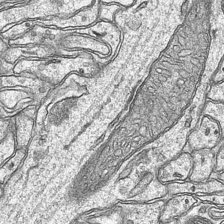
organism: Mouse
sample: CA1 Hippocampus